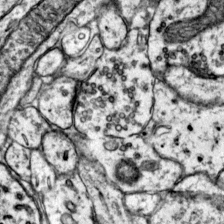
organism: Mouse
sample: Primary visual cortex